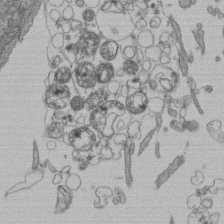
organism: Human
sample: Retinal organoid Rod and Cone cells